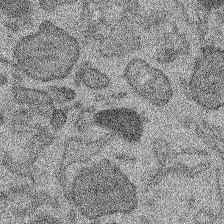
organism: Human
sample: HeLa cells